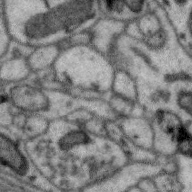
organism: Zebra finch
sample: Brain